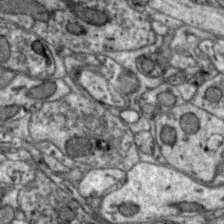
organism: Zebra finch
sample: Brain